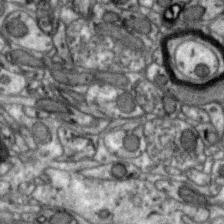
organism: Zebra finch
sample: Brain